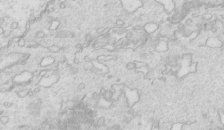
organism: Mouse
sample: Multiciliated cells